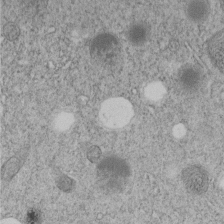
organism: C. elegans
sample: C. elegans embryo early stage